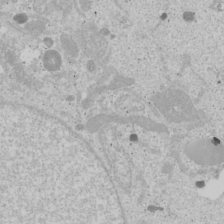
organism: Human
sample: Mitochondria in U2OS cells